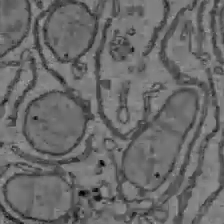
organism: C57BL Mouse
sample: Liver